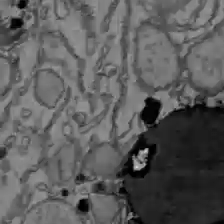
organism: C57BL Mouse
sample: Liver